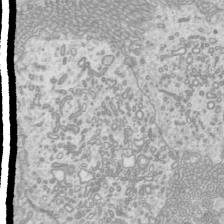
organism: Mouse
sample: Cilia; mouse epididymis